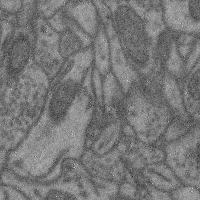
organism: Mouse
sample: Cerebral cortex